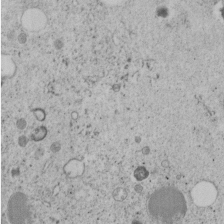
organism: C. elegans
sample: C. elegans embryo early stage